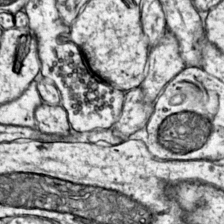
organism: Mouse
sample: Primary visual cortex